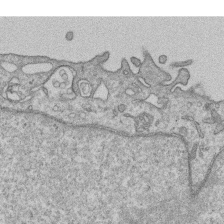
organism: Human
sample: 1205lu cells